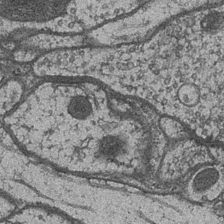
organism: Drosophila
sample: Optic medulla